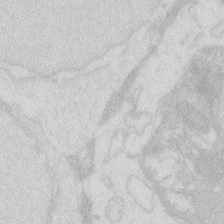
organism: Zebrafish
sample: Macrophage